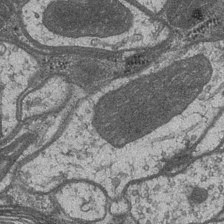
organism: Drosophila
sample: Optic medulla